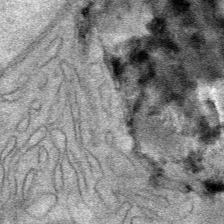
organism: Mouse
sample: Mouse Salivary gland